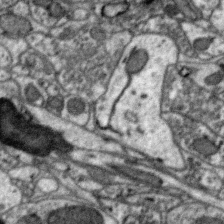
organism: Zebra finch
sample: Brain